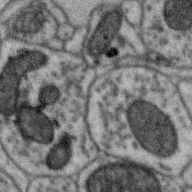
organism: Zebra finch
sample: Brain